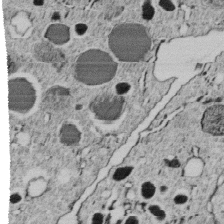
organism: C. elegans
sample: C. elegans embryo early stage